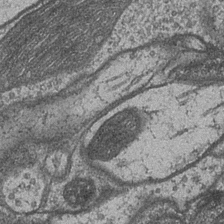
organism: Drosophila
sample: Optic medulla